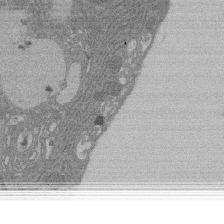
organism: Rat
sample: Salivary granule